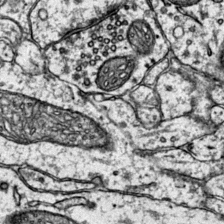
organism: Mouse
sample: Primary visual cortex